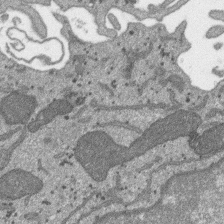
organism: Human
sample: Lung epithelial cells infected with SARS-CoV-2